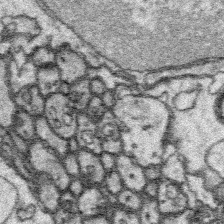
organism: Platynereis dumerilii